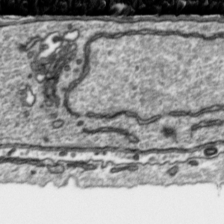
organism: Toxoplasma gondii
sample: Parasites in a vacuole inside a host cell